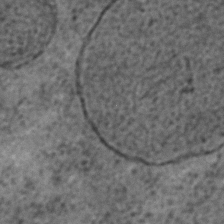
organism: C. elegans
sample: C. elegans embryo